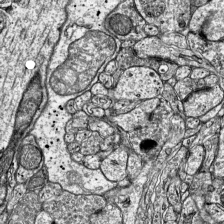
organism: Mouse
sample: Visual Cortex